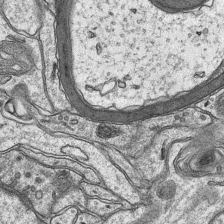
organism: Mouse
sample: CA1 Hippocampus